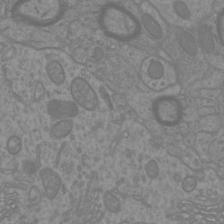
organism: Mouse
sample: Cortical neurons